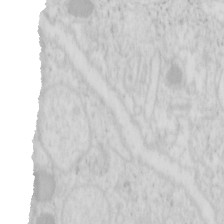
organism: Mouse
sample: Pancreas